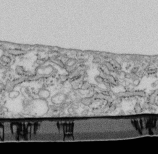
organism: Mouse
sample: Cilia; retinal pigment epithelium